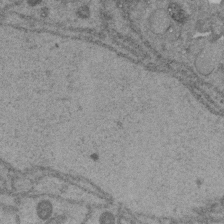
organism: C. elegans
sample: C. elegans embryo early stage